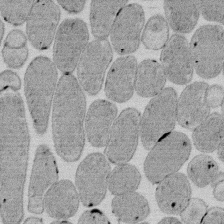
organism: E. coli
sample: Bacterial nucleoid